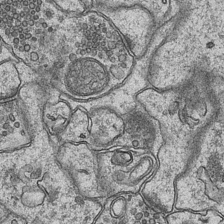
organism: Mouse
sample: CA1 Hippocampus